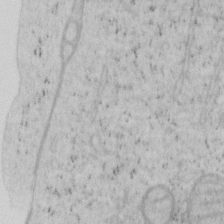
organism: Human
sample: HeLa cells